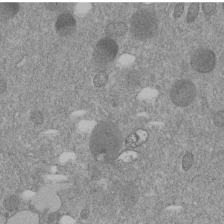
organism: C. elegans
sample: C. elegans embryo early stage